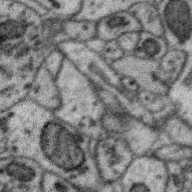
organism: Zebra finch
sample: Brain